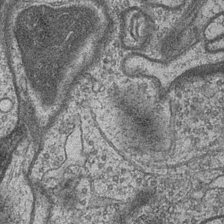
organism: Drosophila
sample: Optic medulla